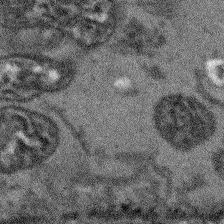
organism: Arabidopsis thaliana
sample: Root tip